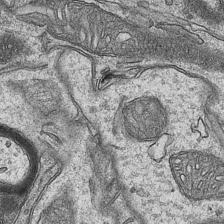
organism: Mouse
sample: CA1 Hippocampus